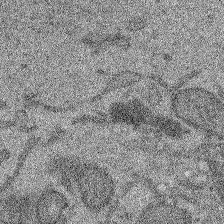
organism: Human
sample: HeLa cells